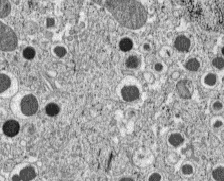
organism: C57BL Mouse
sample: Pancreatic islet